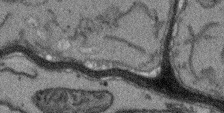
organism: Arabidopsis thaliana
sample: Root tip